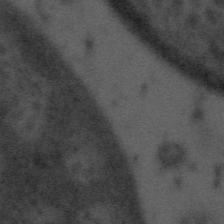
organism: Tuwongella immobilis